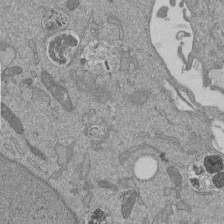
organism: Mouse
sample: ED-1 cell nuclei; centrioles